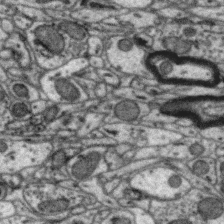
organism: Zebra finch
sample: Brain